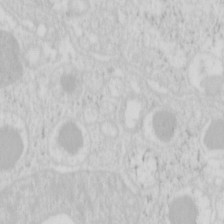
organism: Mouse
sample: Pancreas